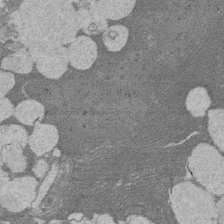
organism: Rat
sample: Salivary granule